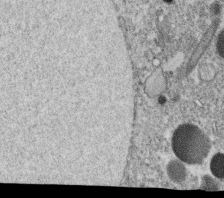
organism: C. elegans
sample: C. elegans oocyte; sperm cells